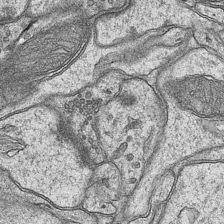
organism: Mouse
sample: CA1 Hippocampus